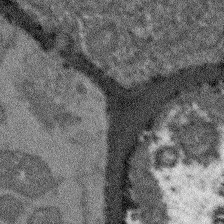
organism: Arabidopsis thaliana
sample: Root tip